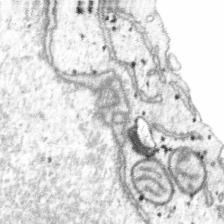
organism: Human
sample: HeLa cells